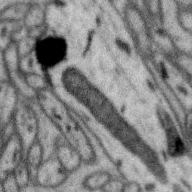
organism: Zebra finch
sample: Brain